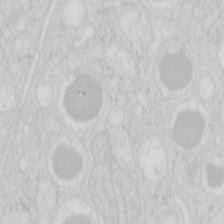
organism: Mouse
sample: Pancreas